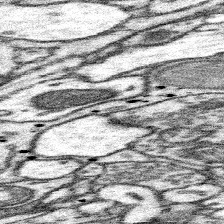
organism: Mouse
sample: Somatosensory cortex neuropil